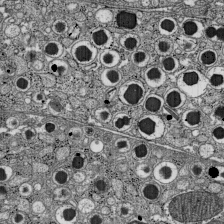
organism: C57BL Mouse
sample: Pancreatic islet